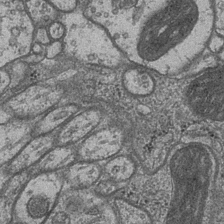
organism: Drosophila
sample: Optic medulla